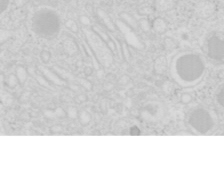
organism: Mouse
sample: Pancreas